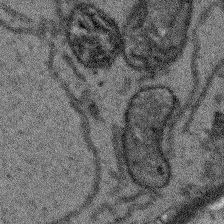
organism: Arabidopsis thaliana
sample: Root tip